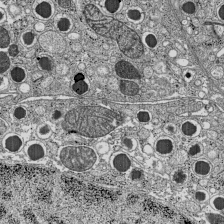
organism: C57BL Mouse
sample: Pancreatic islet